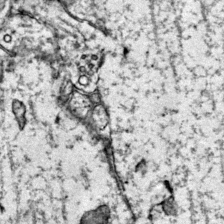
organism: Mouse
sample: Primary visual cortex